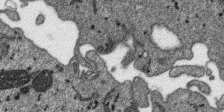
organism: Human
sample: Lung epithelial cells infected with SARS-CoV-2